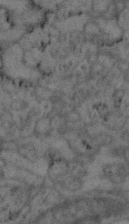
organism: Human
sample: HeLa cells